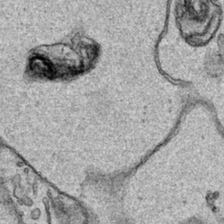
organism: Human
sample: Mitochondria in HCT116 cells